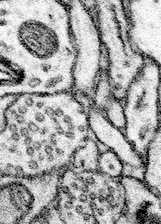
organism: Mouse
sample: Somatosensory cortex neuropil